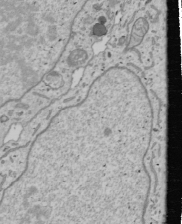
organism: Human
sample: Mitochondria in U2OS cells